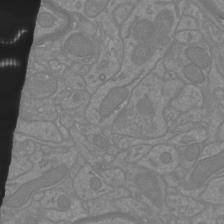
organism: Mouse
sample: Cortical neurons